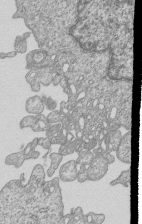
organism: Human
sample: MDA-MB-231 cells